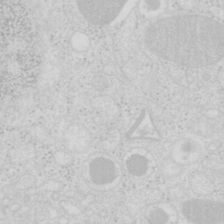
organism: Mouse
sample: Pancreas